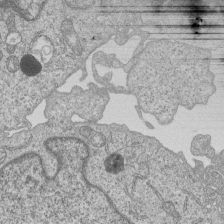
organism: Human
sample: MDA-MB-231 cells